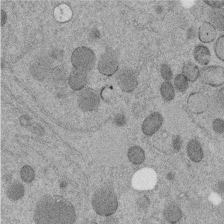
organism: C. elegans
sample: C. elegans embryo early stage